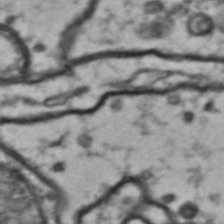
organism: Drosophila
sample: Brain